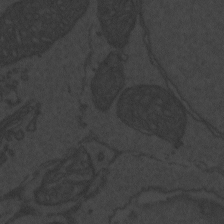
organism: Zebrafish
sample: Macrophage infected with Toxoplasma gondii